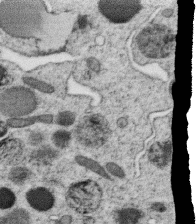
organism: C. elegans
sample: C. elegans oocyte; sperm cells